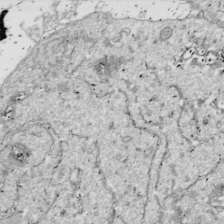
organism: Drosophila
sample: Cell division; meiosis; drosophila spermatocytes